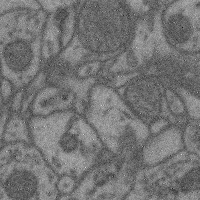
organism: Mouse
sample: Cerebral cortex